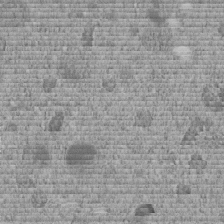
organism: C. elegans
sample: C. elegans embryo early stage